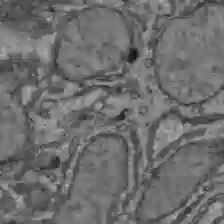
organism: C57BL Mouse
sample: Liver